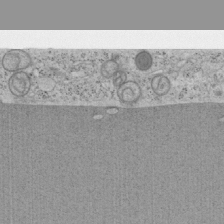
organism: Human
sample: HeLa cells